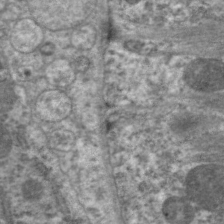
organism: C. elegans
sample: Pharynx